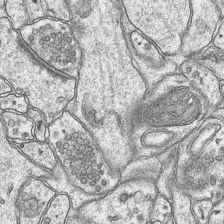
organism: Mouse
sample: CA1 Hippocampus